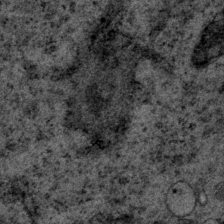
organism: P. pacificus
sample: Pharynx